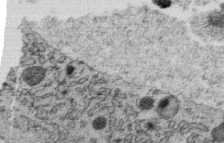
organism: C. elegans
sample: C. elegans oocyte; sperm cells